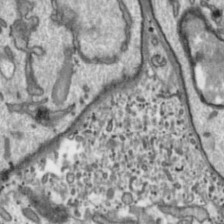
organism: Toxoplasma gondii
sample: Parasites in a vacuole inside a host cell